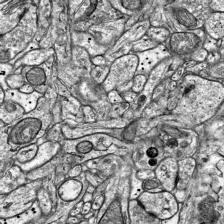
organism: Mouse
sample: Visual Cortex